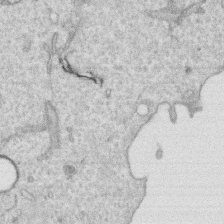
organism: Human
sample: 1205lu cells